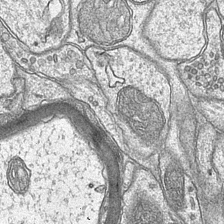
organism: Mouse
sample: CA1 Hippocampus